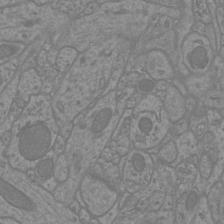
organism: Mouse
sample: Cortical neurons